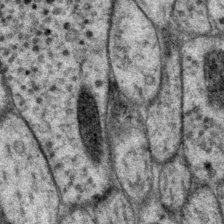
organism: P. pacificus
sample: Pharynx